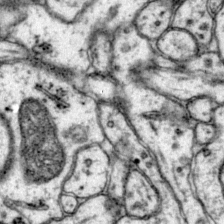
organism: Mouse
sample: Primary visual cortex